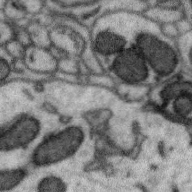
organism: Zebra finch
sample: Brain